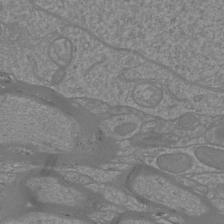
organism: Mouse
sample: Cortical neurons